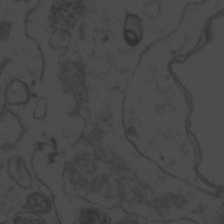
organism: Zebrafish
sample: Macrophage infected with Toxoplasma gondii